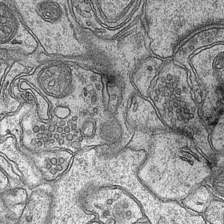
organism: Mouse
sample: CA1 Hippocampus